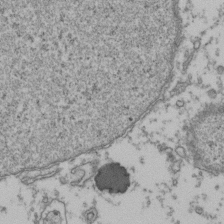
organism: Human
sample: Activated Jurkat CD4+ T cells